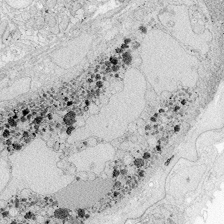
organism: Zebrafish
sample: Whole-Brain